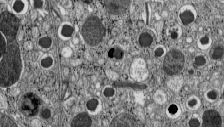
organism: C57BL Mouse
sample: Pancreatic islet